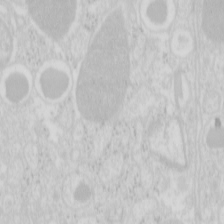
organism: Mouse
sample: Pancreas